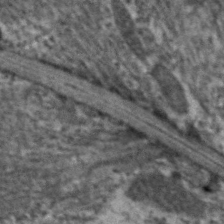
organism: C. elegans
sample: Pharynx